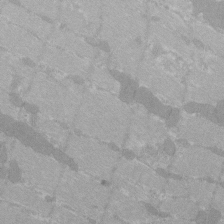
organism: C57BL Mouse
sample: Tibialis anterior muscle cell